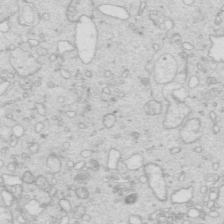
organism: Mouse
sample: Multiciliated cells